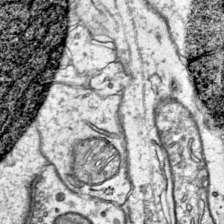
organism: Mouse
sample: Primary visual cortex